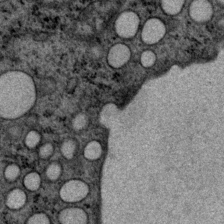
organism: P. pacificus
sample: Pharynx